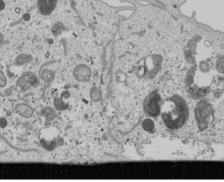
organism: Human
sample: Mitochondria in U2OS cells